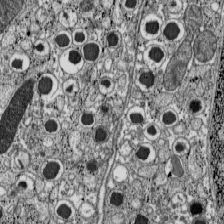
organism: C57BL Mouse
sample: Pancreatic islet